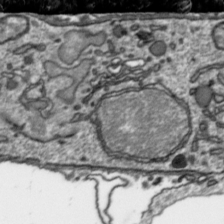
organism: Toxoplasma gondii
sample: Parasites in a vacuole inside a host cell